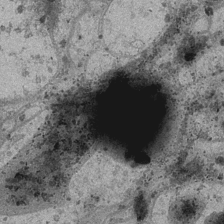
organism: Drosophila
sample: Optic medulla